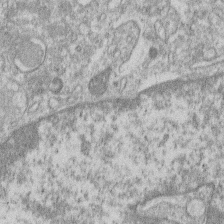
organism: Human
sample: Macrophage cells